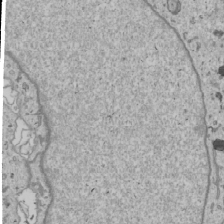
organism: Human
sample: Mitochondria in U2OS cells